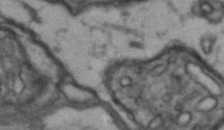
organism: Drosophila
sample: Brain